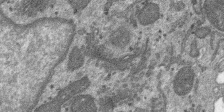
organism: Human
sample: Lung epithelial cells infected with SARS-CoV-2